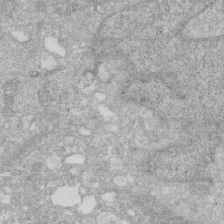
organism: Human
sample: HIV infected U937 cells